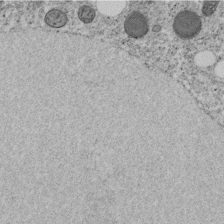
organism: C. elegans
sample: C. elegans embryo early stage